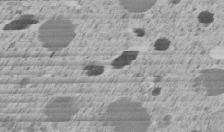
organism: C. elegans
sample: C. elegans embryo early stage